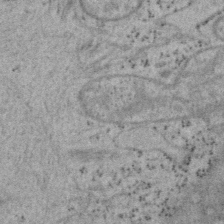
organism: Human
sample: HeLa cells